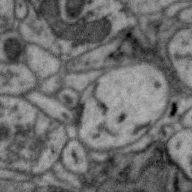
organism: Zebra finch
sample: Brain